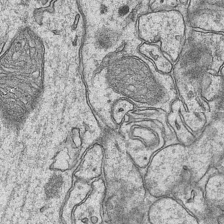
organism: Mouse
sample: CA1 Hippocampus